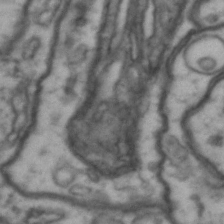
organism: Drosophila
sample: Brain